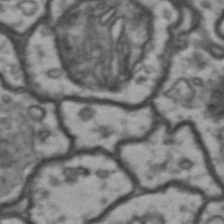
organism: Drosophila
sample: Brain